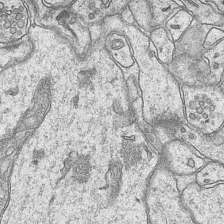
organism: Mouse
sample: CA1 Hippocampus